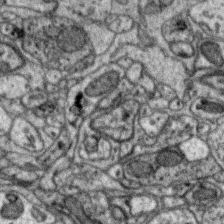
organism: Zebra finch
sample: Brain